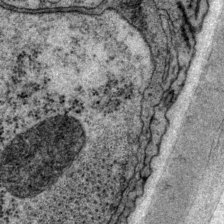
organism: P. pacificus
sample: Pharynx